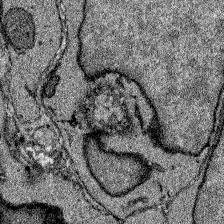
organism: Zebrafish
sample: Larval olfactory bulb